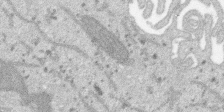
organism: Human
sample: Lung epithelial cells infected with SARS-CoV-2